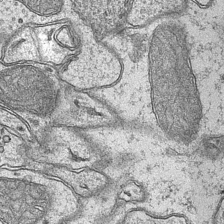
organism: Mouse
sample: CA1 Hippocampus